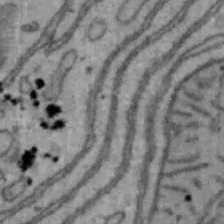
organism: Mouse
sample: Liver